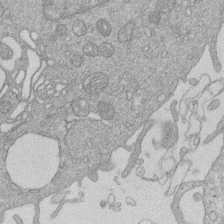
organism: Human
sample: Macrophage cells